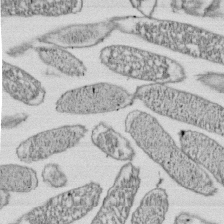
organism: E. coli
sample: Bacterial nucleoid